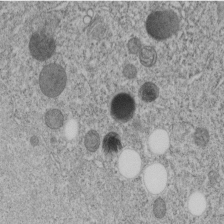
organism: C. elegans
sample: C. elegans embryo early stage